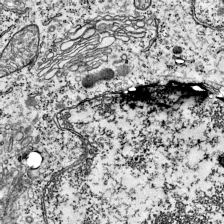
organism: Mouse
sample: Visual Cortex